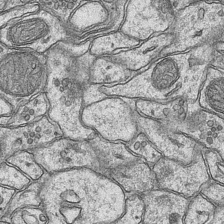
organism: Mouse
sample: CA1 Hippocampus